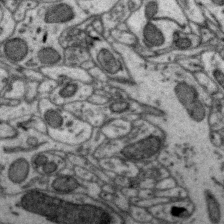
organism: Zebra finch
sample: Brain